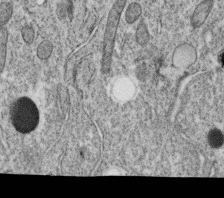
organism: C. elegans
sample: C. elegans oocyte; sperm cells